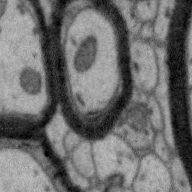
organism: Zebra finch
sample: Brain